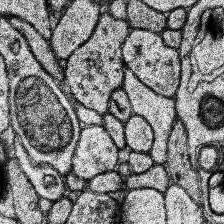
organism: Human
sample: Temporal Lobe